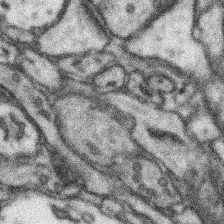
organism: Mouse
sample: Somatosensory cortex neuropil